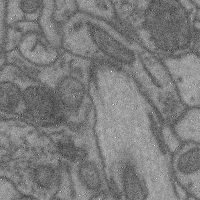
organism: Mouse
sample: Cerebral cortex